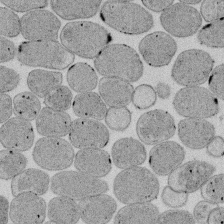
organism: E. coli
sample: Bacterial nucleoid